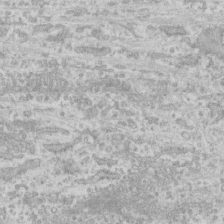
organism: Human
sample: CRL-1474